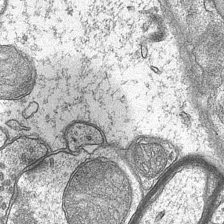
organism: Mouse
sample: CA1 Hippocampus